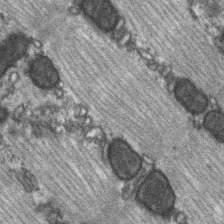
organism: C57BL Mouse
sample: Soleus